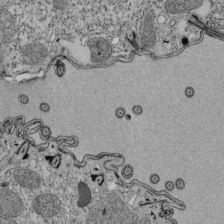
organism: Tetrahymena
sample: Cilia in tetrahymena